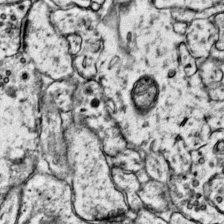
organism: Mouse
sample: Primary visual cortex